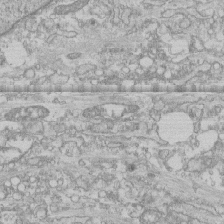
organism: Human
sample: CRL-1474